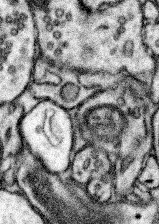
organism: Mouse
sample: Somatosensory cortex neuropil